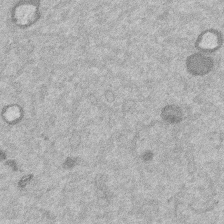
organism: Mouse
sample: Dividing mouse embryo 1 cell stage